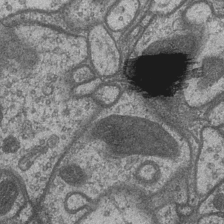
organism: Drosophila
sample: Optic medulla